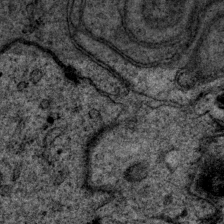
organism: P. pacificus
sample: Pharynx